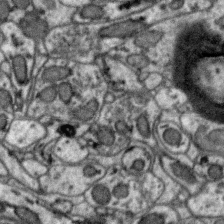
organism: Zebra finch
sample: Brain